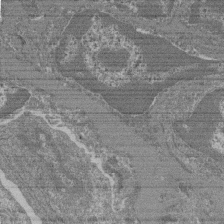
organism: Mouse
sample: Glomerulus